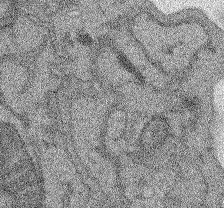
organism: Human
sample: HeLa cells